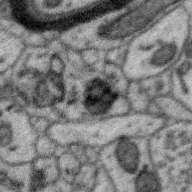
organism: Zebra finch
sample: Brain